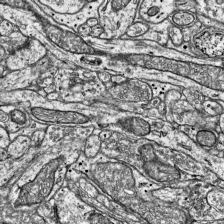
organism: Mouse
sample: Visual Cortex